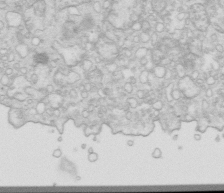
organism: Mouse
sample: Multiciliated cells